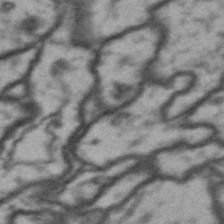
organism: Drosophila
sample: Brain